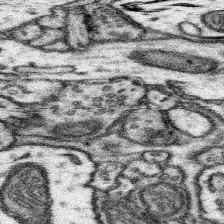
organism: Mouse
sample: Somatosensory cortex neuropil